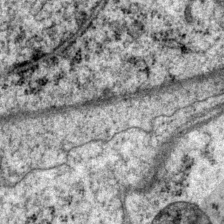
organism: P. pacificus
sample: Pharynx